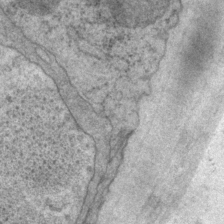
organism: P. pacificus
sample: Pharynx